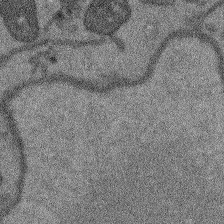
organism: Arabidopsis thaliana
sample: Root tip